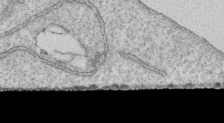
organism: Human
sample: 1205lu cells